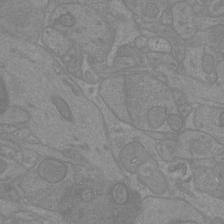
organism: Mouse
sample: Cortical neurons